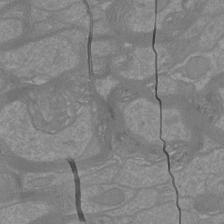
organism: Mouse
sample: Cortical neurons